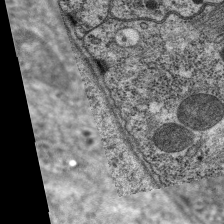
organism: C. elegans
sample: Pharynx